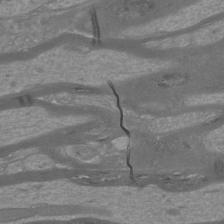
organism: Mouse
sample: Cortical neurons